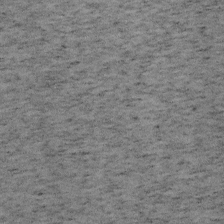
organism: Mouse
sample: OT-I killer T cells with ID8 ovarian cancer cells